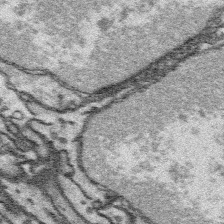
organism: Platynereis dumerilii